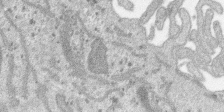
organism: Human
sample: Lung epithelial cells infected with SARS-CoV-2